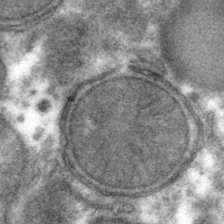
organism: Mouse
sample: Mouse hepatocytes